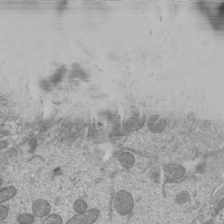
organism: Mouse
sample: Cilia; mouse epididymis